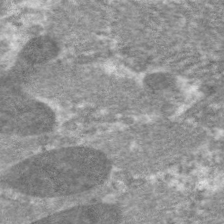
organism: C. elegans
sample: Pharynx